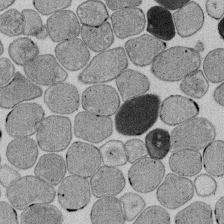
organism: E. coli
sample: Bacterial nucleoid